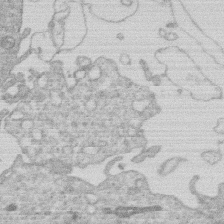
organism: Human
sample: Macrophage cells